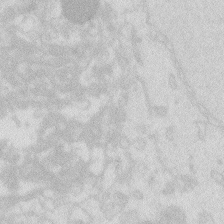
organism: Zebrafish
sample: Macrophage